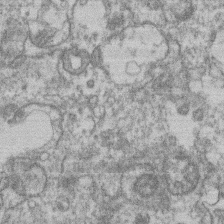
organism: Mouse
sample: T cell stromal cell synapse